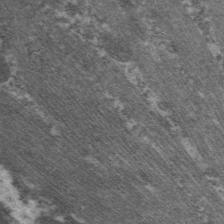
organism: C. elegans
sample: Pharynx